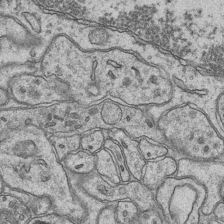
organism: Mouse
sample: CA1 Hippocampus